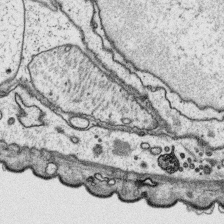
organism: Platynereis dumerilii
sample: Parapodia